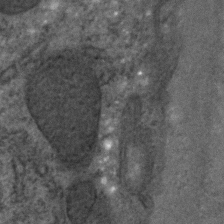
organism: C. elegans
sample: C. elegans embryo